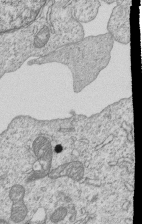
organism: Human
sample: MDA-MB-231 cells